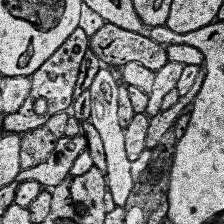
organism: Human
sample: Temporal Lobe